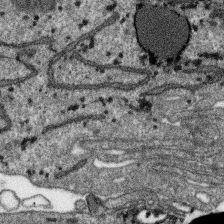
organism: Human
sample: Lung epithelial cells infected with SARS-CoV-2